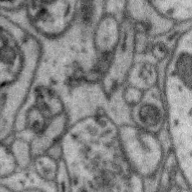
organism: Zebra finch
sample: Brain